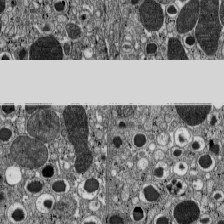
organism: C57BL Mouse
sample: Pancreatic islet